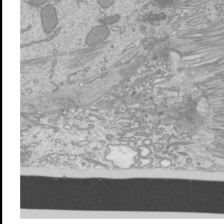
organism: Mouse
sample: Cilia; mouse epididymis